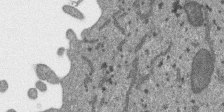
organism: Human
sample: Lung epithelial cells infected with SARS-CoV-2